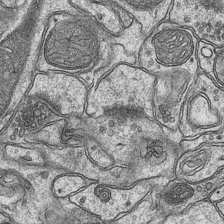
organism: Mouse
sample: CA1 Hippocampus